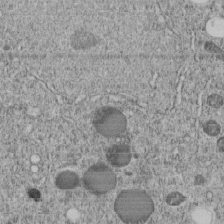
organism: C. elegans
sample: C. elegans embryo early stage